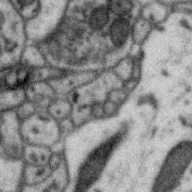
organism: Zebra finch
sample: Brain